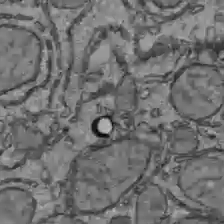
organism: C57BL Mouse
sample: Liver